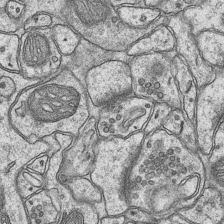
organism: Mouse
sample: CA1 Hippocampus